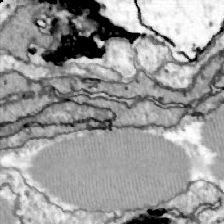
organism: Zebrafish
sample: Actinotrichia fibers